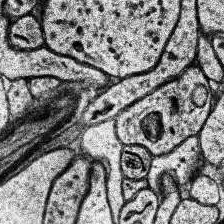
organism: Human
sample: Temporal Lobe